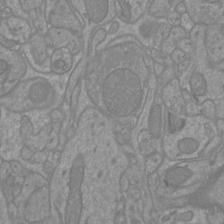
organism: Mouse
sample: Cortical neurons